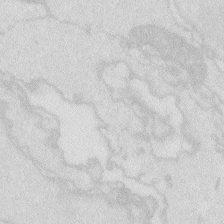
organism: Zebrafish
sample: Macrophage